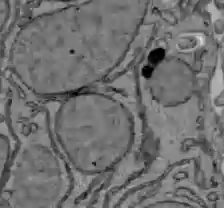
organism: C57BL Mouse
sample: Liver